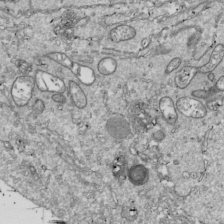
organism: Drosophila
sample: Cell division; meiosis; drosophila spermatocytes